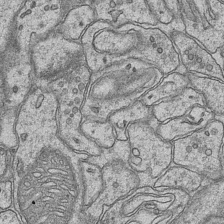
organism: Mouse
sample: CA1 Hippocampus